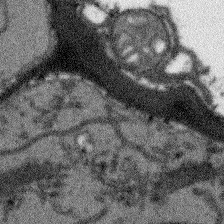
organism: Arabidopsis thaliana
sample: Root tip